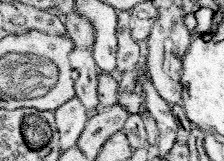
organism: Mouse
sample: Somatosensory cortex neuropil